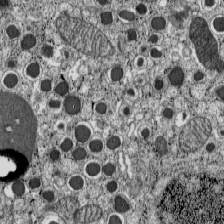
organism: C57BL Mouse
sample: Pancreatic islet